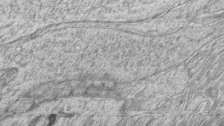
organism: Zebrafish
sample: synaptic ribbons in rod cells and cone cells